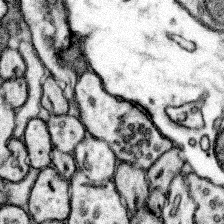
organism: Mouse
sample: Somatosensory cortex neuropil